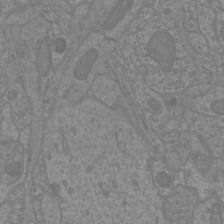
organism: Mouse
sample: Cortical neurons